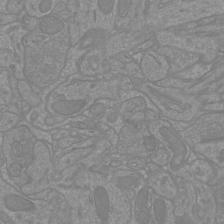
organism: Mouse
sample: Cortical neurons